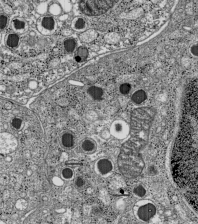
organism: C57BL Mouse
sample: Pancreatic islet